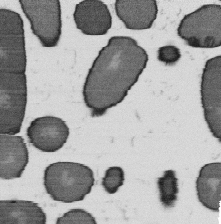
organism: B. subtilis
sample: Bacterial spore